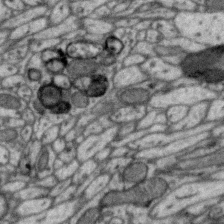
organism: Zebra finch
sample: Brain